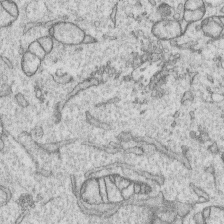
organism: Human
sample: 1205lu cells